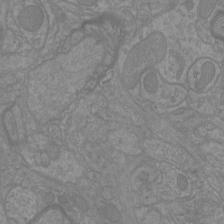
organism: Mouse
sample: Cortical neurons